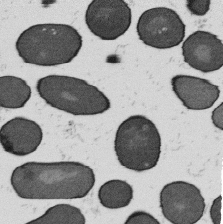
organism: B. subtilis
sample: Bacterial spore